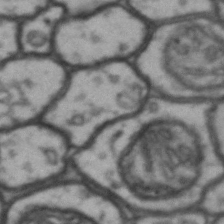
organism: Drosophila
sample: Brain